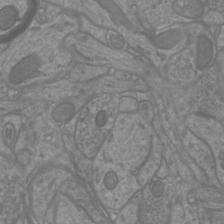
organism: Mouse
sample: Cortical neurons